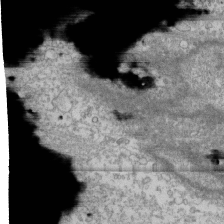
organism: Human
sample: Fibroblast cells